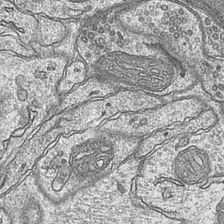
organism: Mouse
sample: CA1 Hippocampus